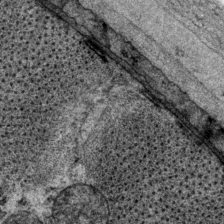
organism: P. pacificus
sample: Pharynx